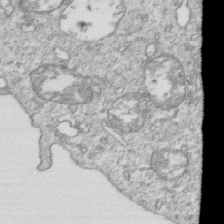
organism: Mouse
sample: Activated OT-1 CD8+ T cells